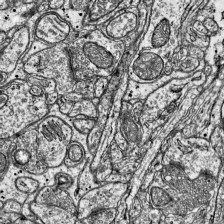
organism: Mouse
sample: Visual Cortex